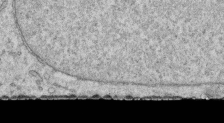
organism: Human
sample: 1205lu cells